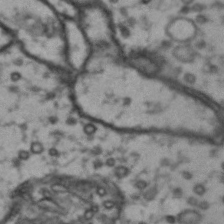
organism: Drosophila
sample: Brain